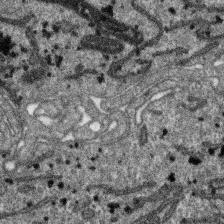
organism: Human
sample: Lung epithelial cells infected with SARS-CoV-2